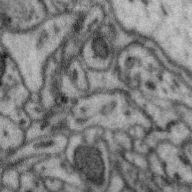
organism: Zebra finch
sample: Brain